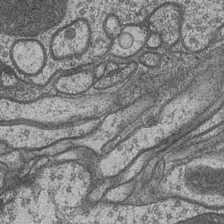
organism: Drosophila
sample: Optic medulla